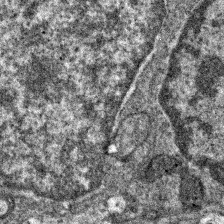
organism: Zebrafish